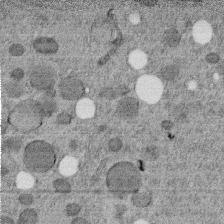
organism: C. elegans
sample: C. elegans embryo early stage